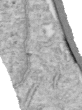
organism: Human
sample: Centriole in RPE cells